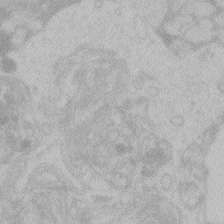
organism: Zebrafish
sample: Macrophage infected with Toxoplasma gondii